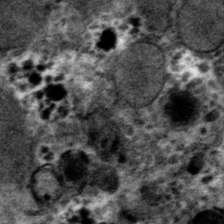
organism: Mouse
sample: Mouse hepatocytes